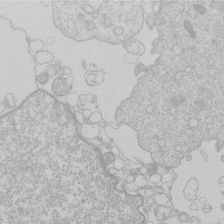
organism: Human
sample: Macrophage cells